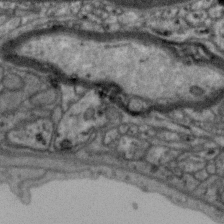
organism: Zebra finch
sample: Brain